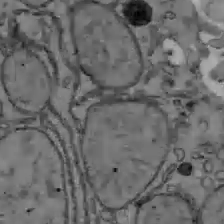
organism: C57BL Mouse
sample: Liver